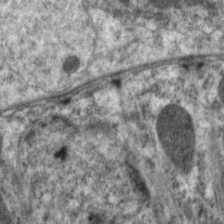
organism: C. elegans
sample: Pharynx